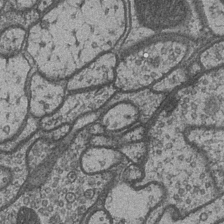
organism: Drosophila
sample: Optic medulla